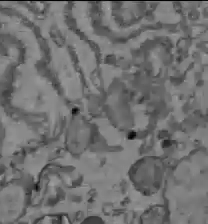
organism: C57BL Mouse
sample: Liver